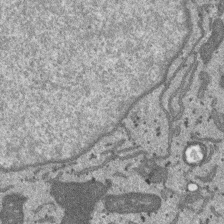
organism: Human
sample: Lung epithelial cells infected with SARS-CoV-2